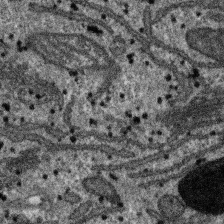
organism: Human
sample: Lung epithelial cells infected with SARS-CoV-2